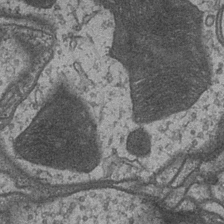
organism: Drosophila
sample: Optic medulla